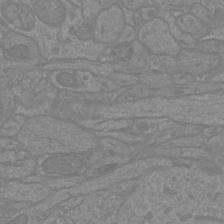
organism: Mouse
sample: Cortical neurons